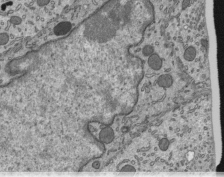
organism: Mouse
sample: Mouse epididymis efferent ductule cilia